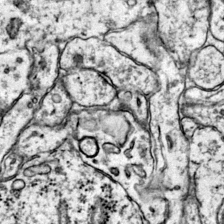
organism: Mouse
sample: Primary visual cortex